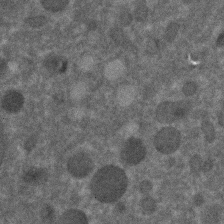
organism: C. elegans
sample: C. elegans embryo